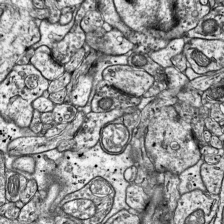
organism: Mouse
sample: Visual Cortex